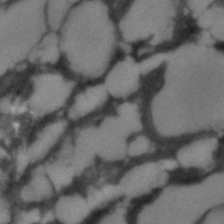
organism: C. elegans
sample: C. elegans embryo